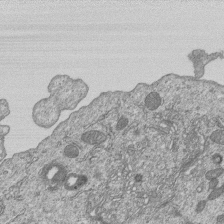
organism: Human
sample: MDA-MB-231 cells